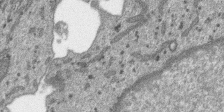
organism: Human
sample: Lung epithelial cells infected with SARS-CoV-2